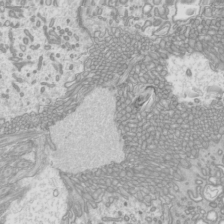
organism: Mouse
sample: Cilia; mouse epididymis